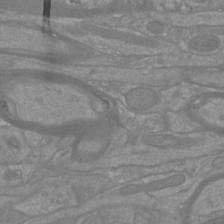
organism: Mouse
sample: Cortical neurons